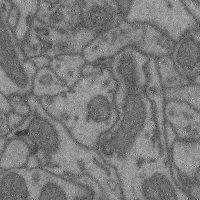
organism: Mouse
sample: Cerebral cortex